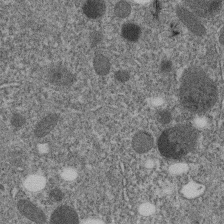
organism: C. elegans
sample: C. elegans embryo early stage